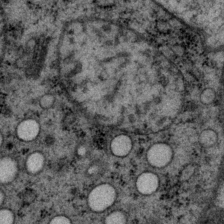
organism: P. pacificus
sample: Pharynx